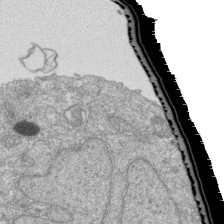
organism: Human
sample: HeLa cell HIV synapse